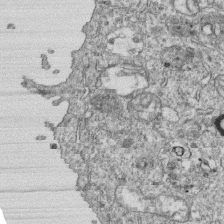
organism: Human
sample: HeLa cell HIV synapse